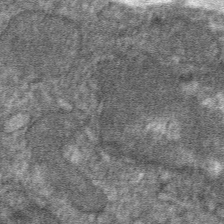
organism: Mouse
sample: Mouse hepatocytes